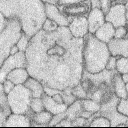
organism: Rabbit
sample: Retina